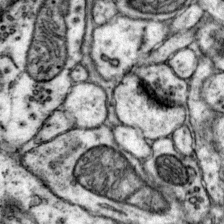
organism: Mouse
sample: Primary visual cortex